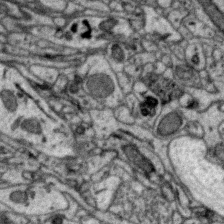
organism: Zebra finch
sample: Brain